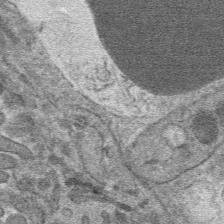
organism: Mouse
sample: Mouse hepatocytes